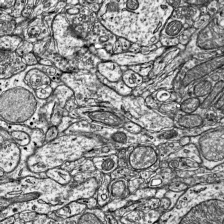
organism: Mouse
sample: Visual Cortex